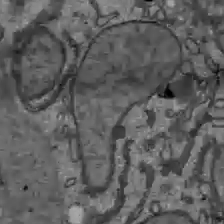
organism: C57BL Mouse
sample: Liver